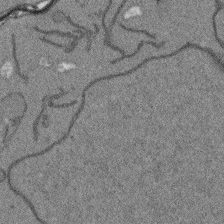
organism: Arabidopsis thaliana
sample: Root tip